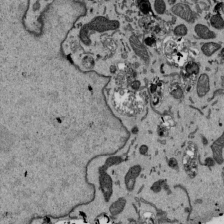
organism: Mouse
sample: ED-1 cell nuclei; centrioles